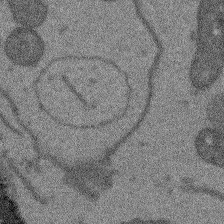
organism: Arabidopsis thaliana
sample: Root tip